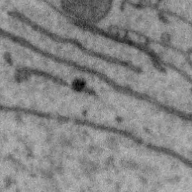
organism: Zebra finch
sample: Brain